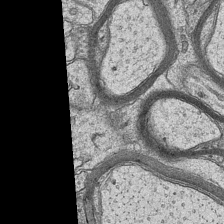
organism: Mouse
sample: CA1 Hippocampus